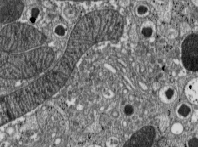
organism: C57BL Mouse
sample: Pancreatic islet